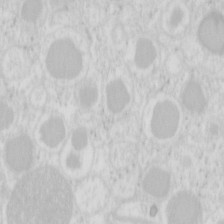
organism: Mouse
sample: Pancreas